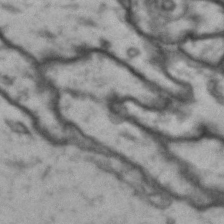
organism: Drosophila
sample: Brain